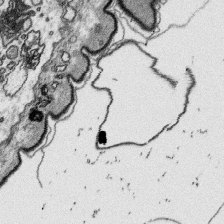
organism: Platynereis dumerilii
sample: Parapodia